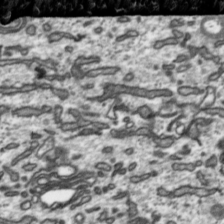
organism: Toxoplasma gondii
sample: Parasites in a vacuole inside a host cell